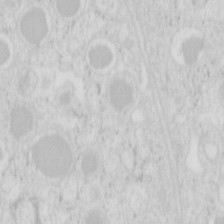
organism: Mouse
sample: Pancreas